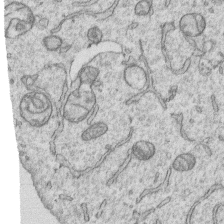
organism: Human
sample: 1205lu cells